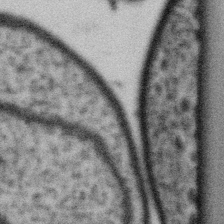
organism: Gemmata obscuriglobus